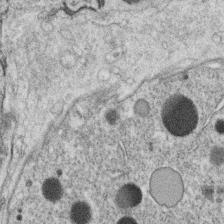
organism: C. elegans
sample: C. elegans oocyte; sperm cells